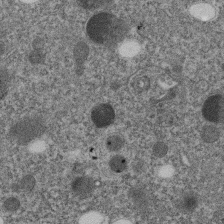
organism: C. elegans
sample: C. elegans embryo early stage